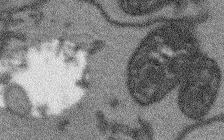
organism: Arabidopsis thaliana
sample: Root tip